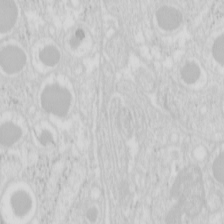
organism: Mouse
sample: Pancreas